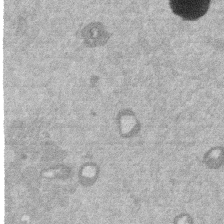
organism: Mouse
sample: Dividing mouse embryo 1 cell stage